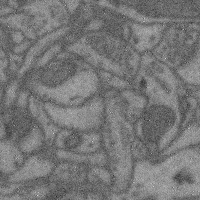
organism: Mouse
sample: Cerebral cortex